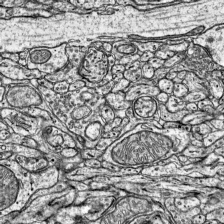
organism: Mouse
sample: Visual Cortex